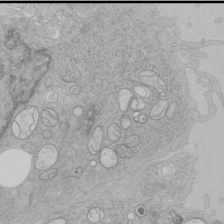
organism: Human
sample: Mitochondria in HCT116 cells